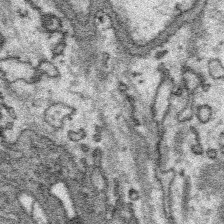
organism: Platynereis dumerilii